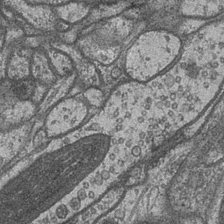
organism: Drosophila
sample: Optic medulla